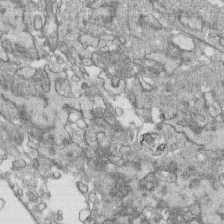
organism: Human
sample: CRL-1474